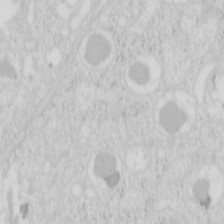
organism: Mouse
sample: Pancreas